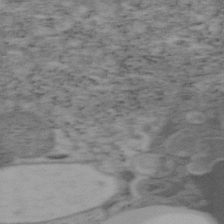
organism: Mouse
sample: OT-I killer T cells with ID8 ovarian cancer cells